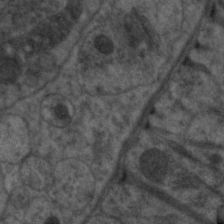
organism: C. elegans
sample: Pharynx